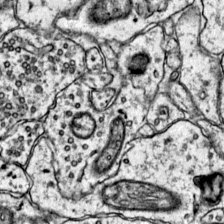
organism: Mouse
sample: Primary visual cortex